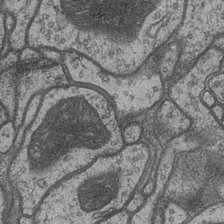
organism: Drosophila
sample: Optic medulla